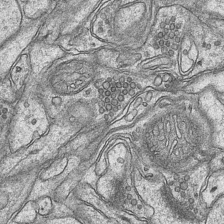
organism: Mouse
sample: CA1 Hippocampus